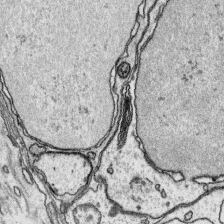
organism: Platynereis dumerilii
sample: Parapodia